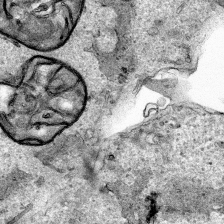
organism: Human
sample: Mitochondria in HCT116 cells